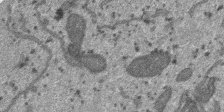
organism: Human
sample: Lung epithelial cells infected with SARS-CoV-2